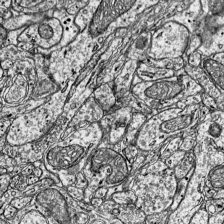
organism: Mouse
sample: Visual Cortex